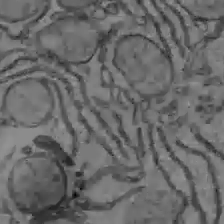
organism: C57BL Mouse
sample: Liver